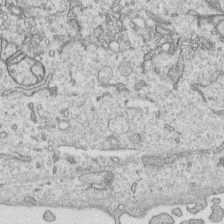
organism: Human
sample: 1205lu cells